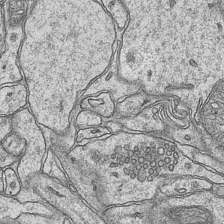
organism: Mouse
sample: CA1 Hippocampus